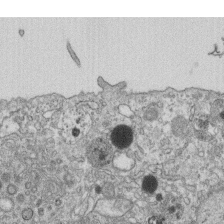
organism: Human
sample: HeLa cell HIV synapse